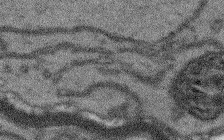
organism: Arabidopsis thaliana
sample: Root tip